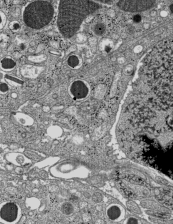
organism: C57BL Mouse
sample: Pancreatic islet